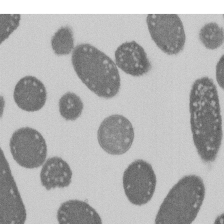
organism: E. coli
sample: Bacterial nucleoid